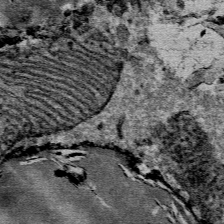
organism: Mouse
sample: Mouse Salivary gland